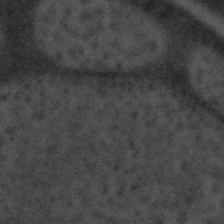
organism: Tuwongella immobilis